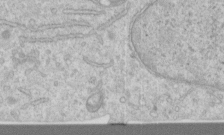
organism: Human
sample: Centriole in RPE cells